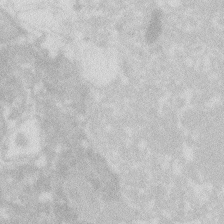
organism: Zebrafish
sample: Macrophage